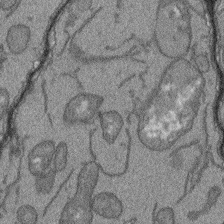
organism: Arabidopsis thaliana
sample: Root tip